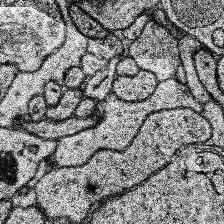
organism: Human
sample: Temporal Lobe